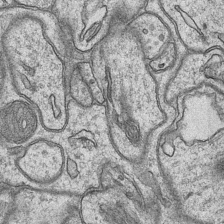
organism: Mouse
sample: CA1 Hippocampus